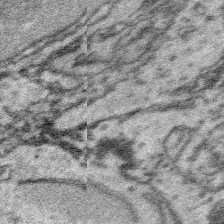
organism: Platynereis dumerilii